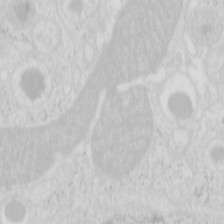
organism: Mouse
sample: Pancreas